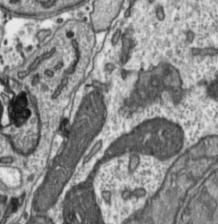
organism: Toxoplasma gondii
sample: Parasites in a vacuole inside a host cell